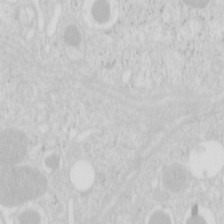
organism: Mouse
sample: Pancreas